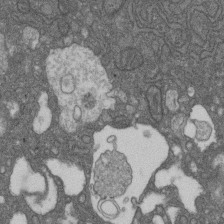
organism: Drosophila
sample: Nephrocyte